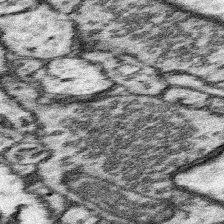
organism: Mouse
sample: Somatosensory cortex neuropil